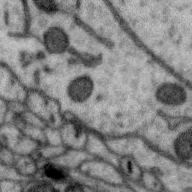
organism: Zebra finch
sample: Brain